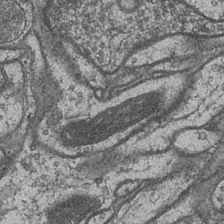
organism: Drosophila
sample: Optic medulla